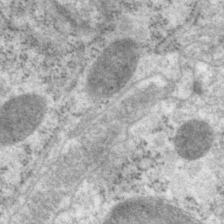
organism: P. pacificus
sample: Pharynx